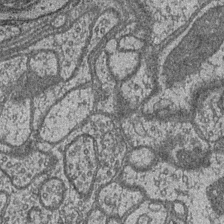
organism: Drosophila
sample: Optic medulla